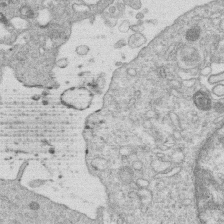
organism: Human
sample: Macrophage cells